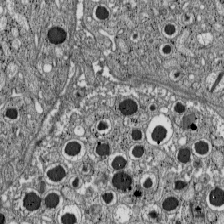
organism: C57BL Mouse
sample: Pancreatic islet